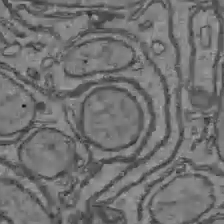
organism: C57BL Mouse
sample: Liver